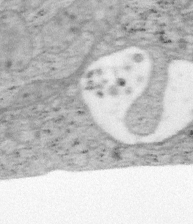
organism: Mouse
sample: OT-I killer T cells with ID8 ovarian cancer cells